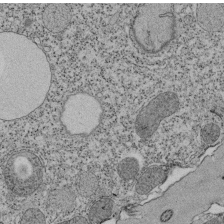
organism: Tetrahymena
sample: Cilia in tetrahymena